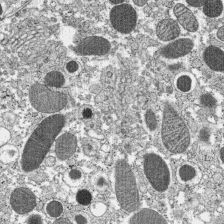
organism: C57BL Mouse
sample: Pancreatic islet